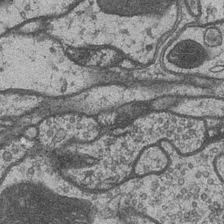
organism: Drosophila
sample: Optic medulla